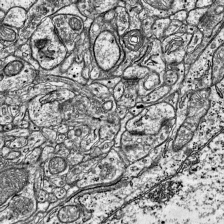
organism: Mouse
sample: Visual Cortex